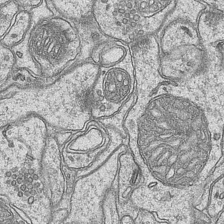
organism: Mouse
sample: CA1 Hippocampus